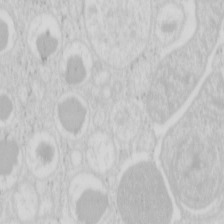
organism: Mouse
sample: Pancreas